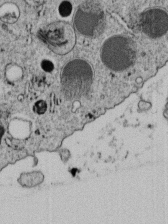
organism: C. elegans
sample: C. elegans embryo early stage